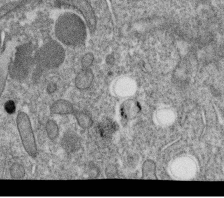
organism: C. elegans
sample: C. elegans oocyte; sperm cells